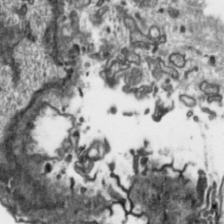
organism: Toxoplasma gondii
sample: Parasites in a vacuole inside a host cell